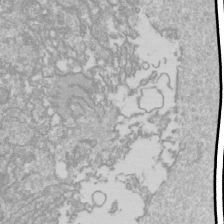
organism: Drosophila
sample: Cell division; meiosis; drosophila spermatocytes